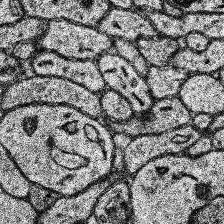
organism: Human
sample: Temporal Lobe